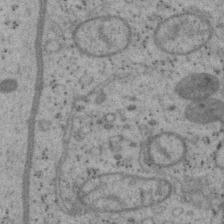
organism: Human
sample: HeLa cells